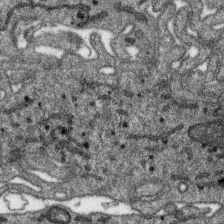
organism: Human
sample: Lung epithelial cells infected with SARS-CoV-2